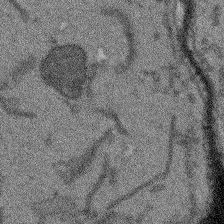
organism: Arabidopsis thaliana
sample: Root tip